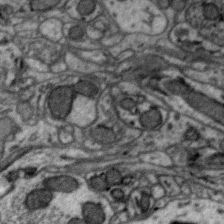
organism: Zebra finch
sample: Brain